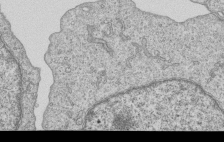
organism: Human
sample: MDA-MB-231 cells